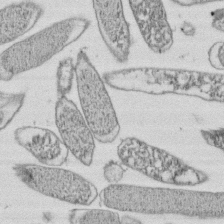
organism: E. coli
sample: Bacterial nucleoid